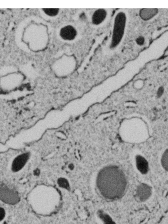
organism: C. elegans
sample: C. elegans embryo early stage